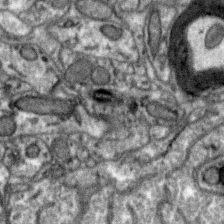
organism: Zebra finch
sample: Brain